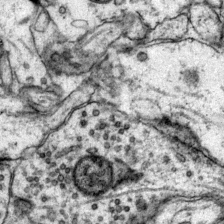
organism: Mouse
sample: Primary visual cortex